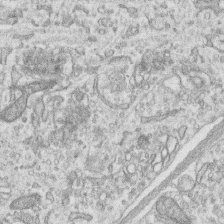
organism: Human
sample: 1205lu cells